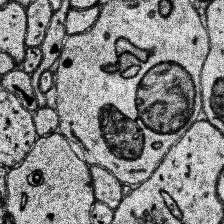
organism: Human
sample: Temporal Lobe